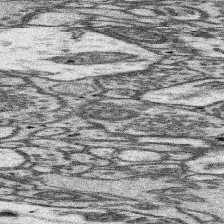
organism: Mouse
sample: Somatosensory cortex neuropil